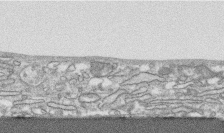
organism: Human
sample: CRL-1474